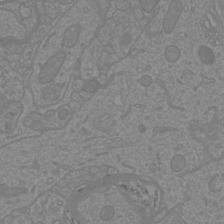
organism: Mouse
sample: Cortical neurons